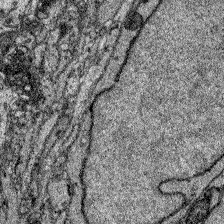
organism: Zebrafish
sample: Larval olfactory bulb